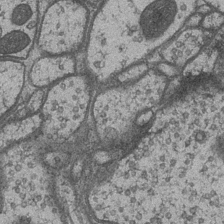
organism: Drosophila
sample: Optic medulla